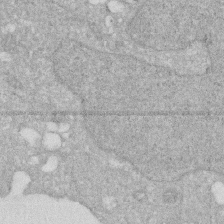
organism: Human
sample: HIV infected U937 cells